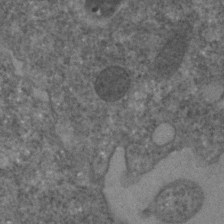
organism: C. elegans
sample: C. elegans embryo